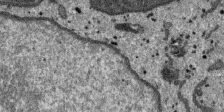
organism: Human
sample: Lung epithelial cells, uninfected (mock) control